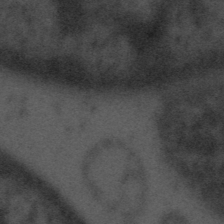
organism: Tuwongella immobilis